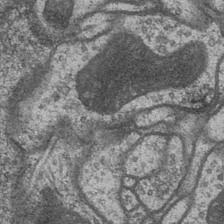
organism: Drosophila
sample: Optic medulla